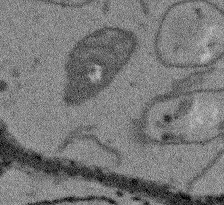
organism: Arabidopsis thaliana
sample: Root tip